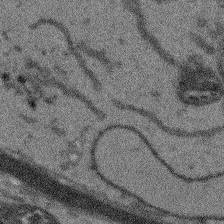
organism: Arabidopsis thaliana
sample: Root tip